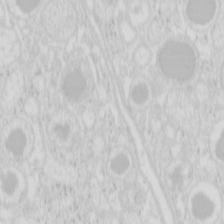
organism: Mouse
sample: Pancreas